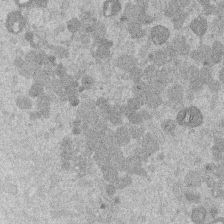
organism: Mouse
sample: Dividing mouse embryo 1 cell stage